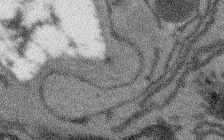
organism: Arabidopsis thaliana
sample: Root tip